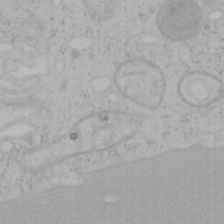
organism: Mouse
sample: OT-I killer T cells with ID8 ovarian cancer cells